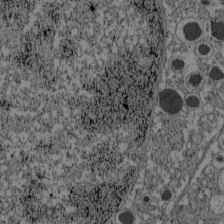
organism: C57BL Mouse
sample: Pancreatic islet